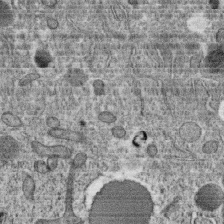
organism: C. elegans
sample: C. elegans oocyte; sperm cells